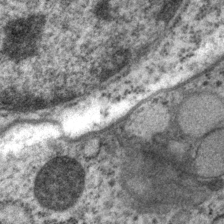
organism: P. pacificus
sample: Pharynx